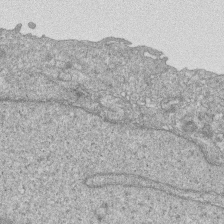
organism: Human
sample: HeLa cell HIV synapse